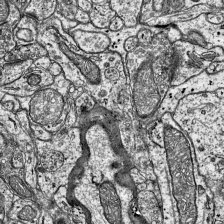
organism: Mouse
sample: Visual Cortex